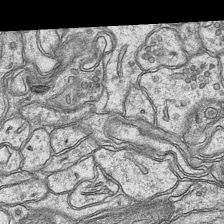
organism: Mouse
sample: CA1 Hippocampus